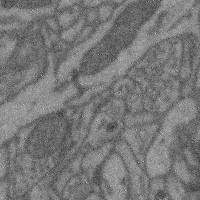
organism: Mouse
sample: Cerebral cortex